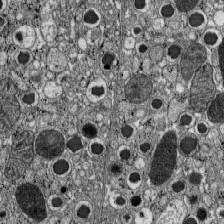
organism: C57BL Mouse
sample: Pancreatic islet